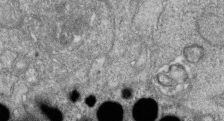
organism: Zebrafish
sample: Cilia; retinal pigment epithelium